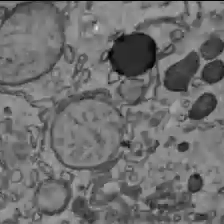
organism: C57BL Mouse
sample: Liver